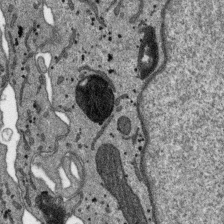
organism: Human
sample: Lung epithelial cells, uninfected (mock) control